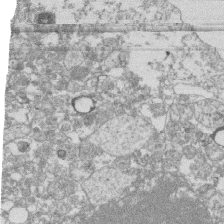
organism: Human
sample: HeLa cell HIV synapse